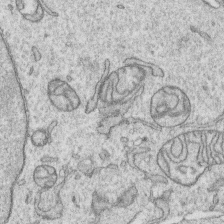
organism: Human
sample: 1205lu cells